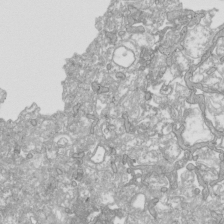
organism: Human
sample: Mitochondria in HCT116 cells